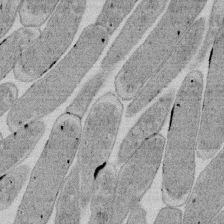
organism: E. coli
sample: Bacterial nucleoid